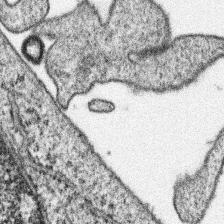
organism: Human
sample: HeLa cells